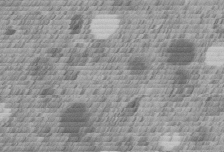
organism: C. elegans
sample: C. elegans embryo early stage